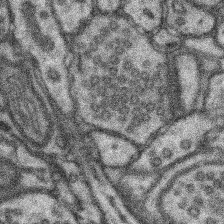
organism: Mouse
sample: Somatosensory cortex neuropil